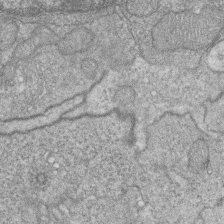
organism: Zebrafish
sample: Cilia; retinal pigment epithelium